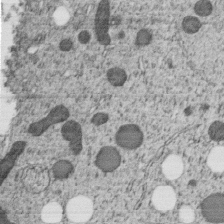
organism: C. elegans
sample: C. elegans embryo early stage